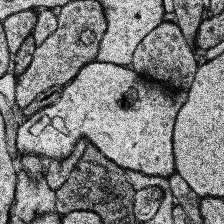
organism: Human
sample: Temporal Lobe